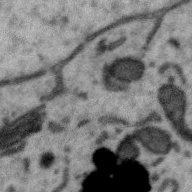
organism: Zebra finch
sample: Brain